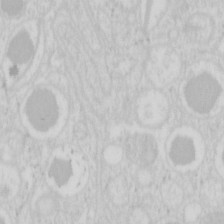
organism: Mouse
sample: Pancreas